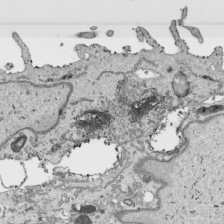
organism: Human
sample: Mitochondria in HCT116 cells